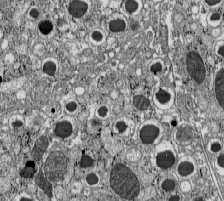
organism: C57BL Mouse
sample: Pancreatic islet